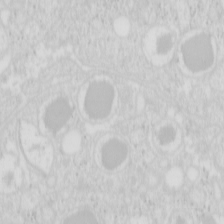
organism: Mouse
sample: Pancreas